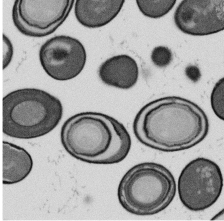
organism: B. subtilis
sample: Bacterial spore